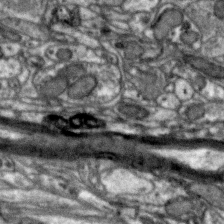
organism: Zebra finch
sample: Brain